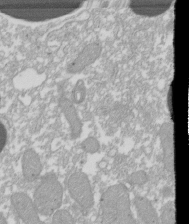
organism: Xenopus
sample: Cilia; centrioles in frog embryo cells